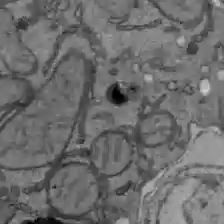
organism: C57BL Mouse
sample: Liver